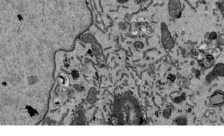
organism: Mouse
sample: ED-1 cell nuclei; centrioles